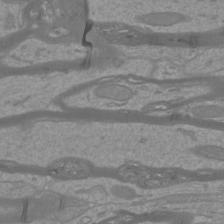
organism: Mouse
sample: Cortical neurons